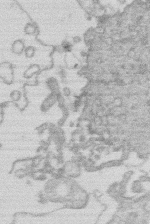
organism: Human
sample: Macrophage cells